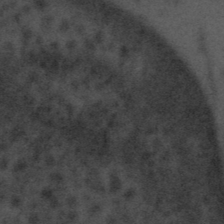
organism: Tuwongella immobilis